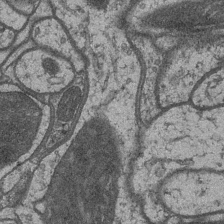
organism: Drosophila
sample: Optic medulla